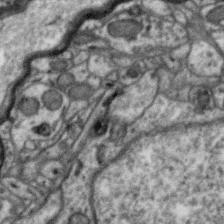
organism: Zebra finch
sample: Brain